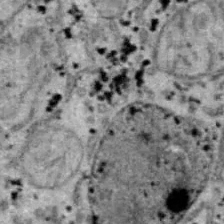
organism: Mouse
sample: Liver from an obese (ob/ob) mouse